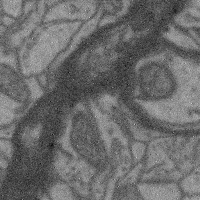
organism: Mouse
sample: Cerebral cortex